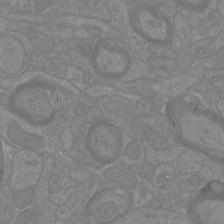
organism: Mouse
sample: Cortical neurons